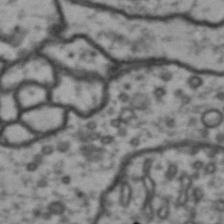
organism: Drosophila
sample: Brain